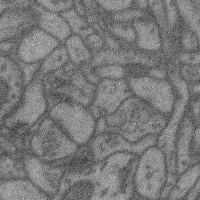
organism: Mouse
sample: Cerebral cortex